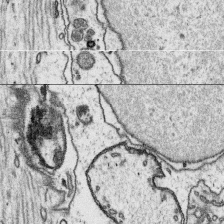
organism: Platynereis dumerilii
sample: Parapodia